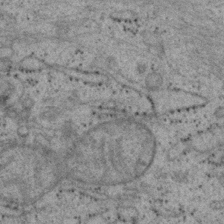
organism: Human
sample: HeLa cells